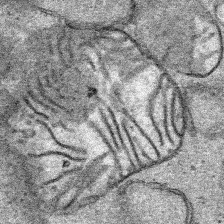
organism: Human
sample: Mitochondria in HCT116 cells